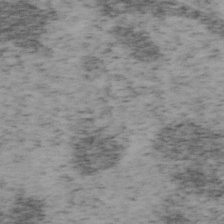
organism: Mouse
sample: OT-I killer T cells with ID8 ovarian cancer cells